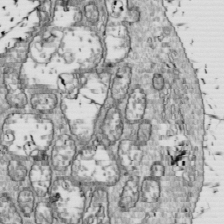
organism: Drosophila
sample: Cell division; meiosis; drosophila spermatocytes